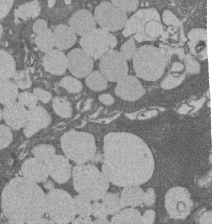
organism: Rat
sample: Salivary granule